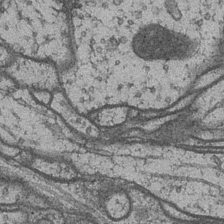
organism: Drosophila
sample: Optic medulla